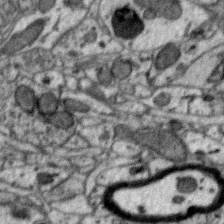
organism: Zebra finch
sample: Brain